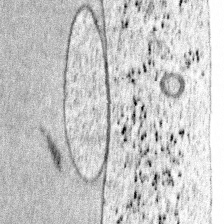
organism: Human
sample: HeLa cells